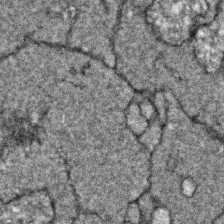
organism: Zebrafish